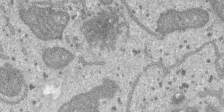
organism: Human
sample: Lung epithelial cells infected with SARS-CoV-2